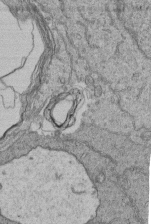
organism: Human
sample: Retinal organoid Rod and Cone cells